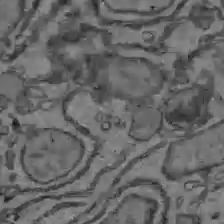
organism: C57BL Mouse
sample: Liver